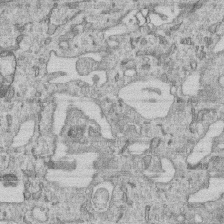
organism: Human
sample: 1205lu cells